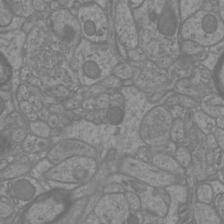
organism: Mouse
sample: Cortical neurons